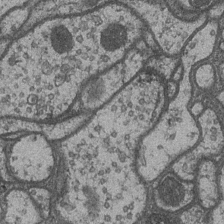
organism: Drosophila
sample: Optic medulla